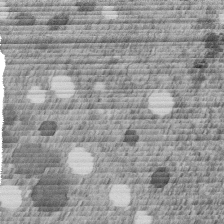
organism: C. elegans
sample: C. elegans embryo early stage